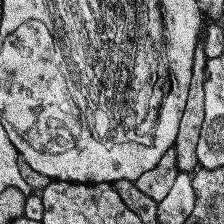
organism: Human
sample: Temporal Lobe